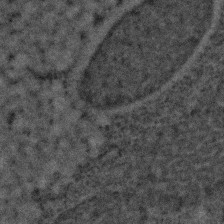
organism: C. elegans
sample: C. elegans embryo